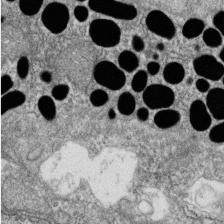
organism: Zebrafish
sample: Cilia; retinal pigment epithelium